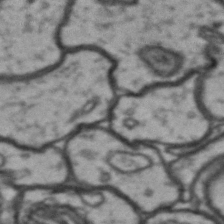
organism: Drosophila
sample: Brain